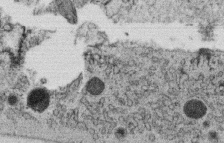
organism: C. elegans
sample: C. elegans oocyte; sperm cells